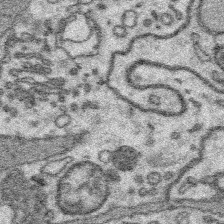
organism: Platynereis dumerilii